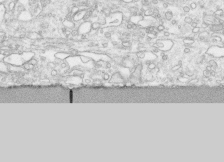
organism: Human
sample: CRL-1474